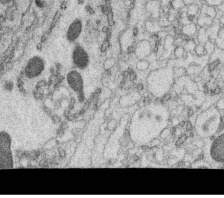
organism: C. elegans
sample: C. elegans oocyte; sperm cells